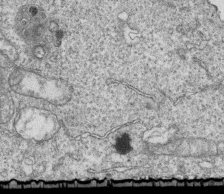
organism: Human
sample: HeLa cell HIV synapse